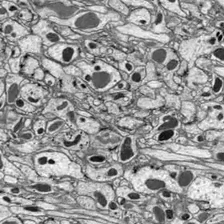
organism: Drosophila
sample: Optic lobe